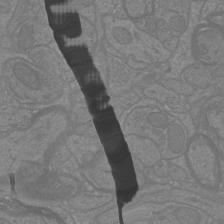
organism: Mouse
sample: Cortical neurons